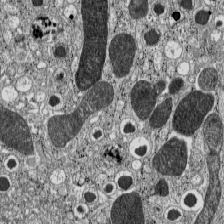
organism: C57BL Mouse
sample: Pancreatic islet